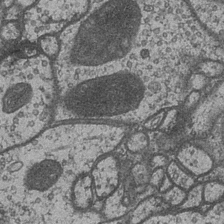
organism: Drosophila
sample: Optic medulla